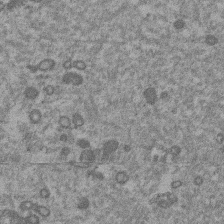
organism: Mouse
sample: Dividing mouse embryo 1 cell stage